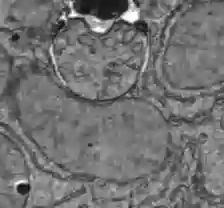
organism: C57BL Mouse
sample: Liver